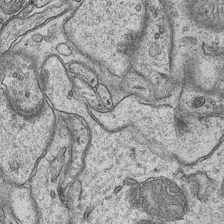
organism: Mouse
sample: CA1 Hippocampus